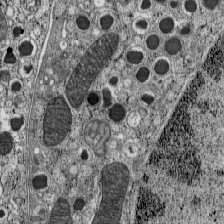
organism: C57BL Mouse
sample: Pancreatic islet